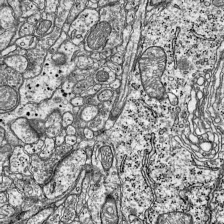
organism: Mouse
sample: Visual Cortex